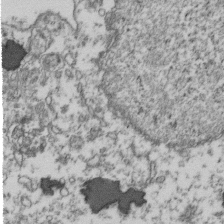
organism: Human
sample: Activated Jurkat CD4+ T cells